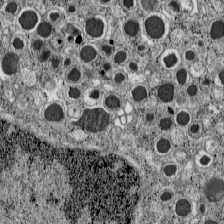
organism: C57BL Mouse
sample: Pancreatic islet